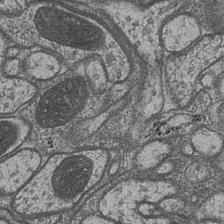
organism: Drosophila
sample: Optic medulla